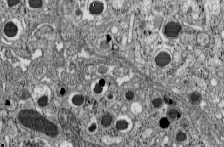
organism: C57BL Mouse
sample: Pancreatic islet